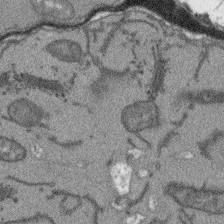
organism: Arabidopsis thaliana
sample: Root tip